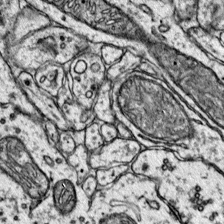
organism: Mouse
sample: Primary visual cortex